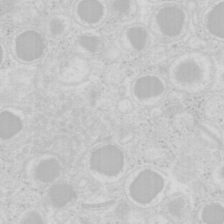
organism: Mouse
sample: Pancreas